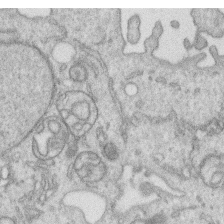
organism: Human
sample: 1205lu cells